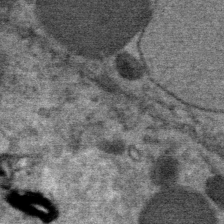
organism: Mouse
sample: Mouse Salivary gland